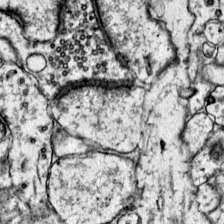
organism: Mouse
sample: Primary visual cortex